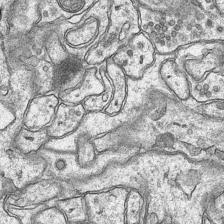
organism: Mouse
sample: CA1 Hippocampus